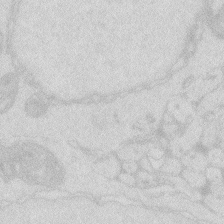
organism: Zebrafish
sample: Macrophage